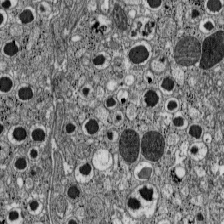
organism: C57BL Mouse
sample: Pancreatic islet